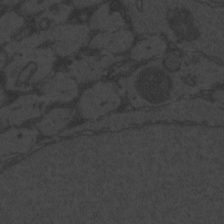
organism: Zebrafish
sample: Macrophage infected with Toxoplasma gondii